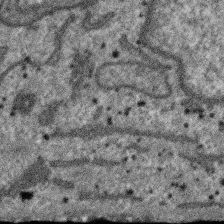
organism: Human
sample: Lung epithelial cells infected with SARS-CoV-2